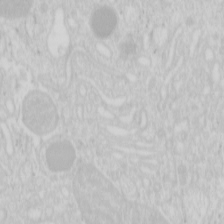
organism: Mouse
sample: Pancreas